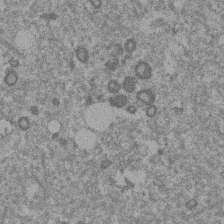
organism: Mouse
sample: Dividing mouse embryo 1 cell stage